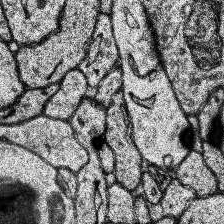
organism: Human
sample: Temporal Lobe